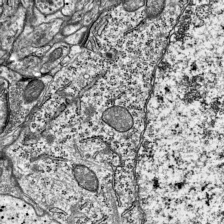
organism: Mouse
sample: Visual Cortex